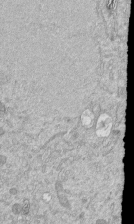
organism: Mouse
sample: ED-1 cell nuclei; centrioles